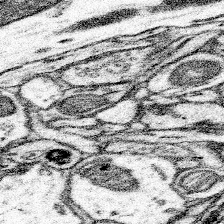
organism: Mouse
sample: Somatosensory cortex neuropil